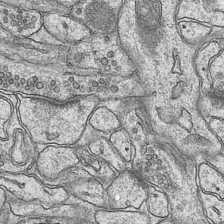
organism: Mouse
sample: CA1 Hippocampus